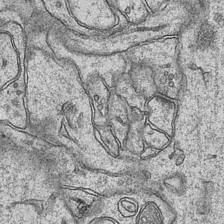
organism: Mouse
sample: CA1 Hippocampus